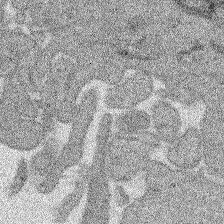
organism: Human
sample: HeLa cells